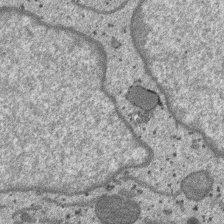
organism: Human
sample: Lung epithelial cells infected with SARS-CoV-2